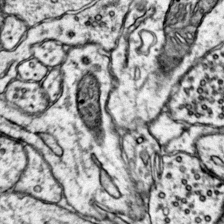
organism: Mouse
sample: Primary visual cortex